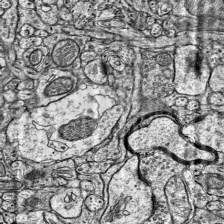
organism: Mouse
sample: Visual Cortex